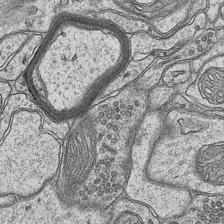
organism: Mouse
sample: CA1 Hippocampus